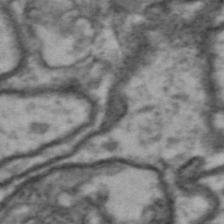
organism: Drosophila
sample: Brain